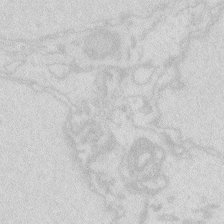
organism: Zebrafish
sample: Macrophage